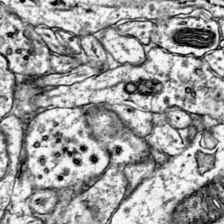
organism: Mouse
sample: Primary visual cortex